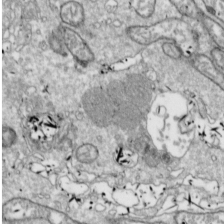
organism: Drosophila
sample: Cell division; meiosis; drosophila spermatocytes